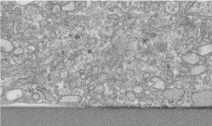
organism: Human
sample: Centriole in RPE cells